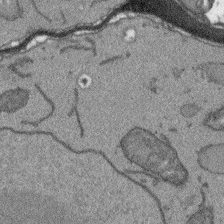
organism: Arabidopsis thaliana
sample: Root tip